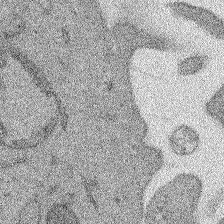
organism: Human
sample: HeLa cells